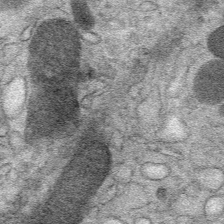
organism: Mouse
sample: Mouse Salivary gland